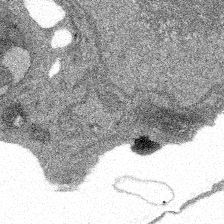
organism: Spongilla lacustris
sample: Multiple